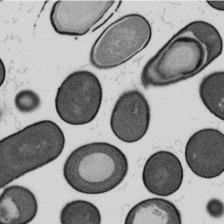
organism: B. subtilis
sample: Bacterial spore